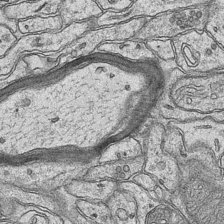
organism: Mouse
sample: CA1 Hippocampus